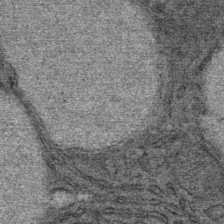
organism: Mouse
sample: Mouse Salivary gland